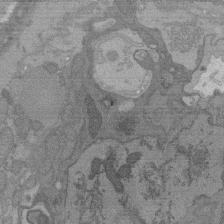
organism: C. elegans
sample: AFD neurons C. elegans